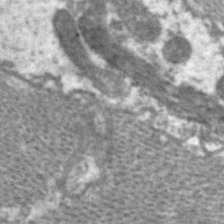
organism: C. elegans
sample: Pharynx